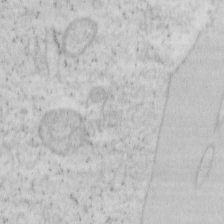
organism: Human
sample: HeLa cells